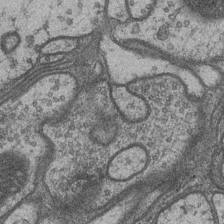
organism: Drosophila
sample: Optic medulla